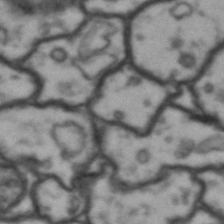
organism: Drosophila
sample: Brain